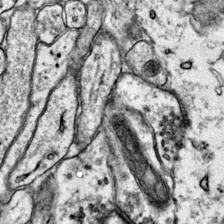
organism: Mouse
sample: Primary visual cortex